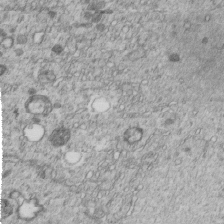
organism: C. elegans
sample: C. elegans embryo early stage